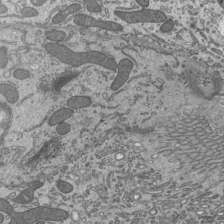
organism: Mouse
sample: Mouse epididymis efferent ductule cilia